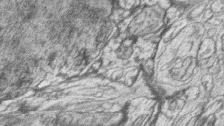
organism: Zebrafish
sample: synaptic ribbons in rod cells and cone cells